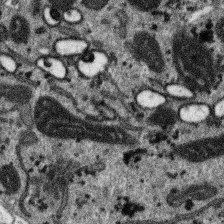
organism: Human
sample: Lung epithelial cells infected with SARS-CoV-2